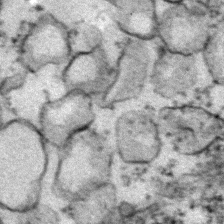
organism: Zebrafish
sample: Zebrafish embryo